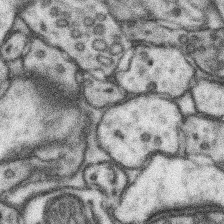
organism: Mouse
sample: Somatosensory cortex neuropil